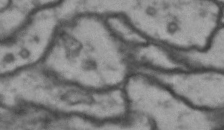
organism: Drosophila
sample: Brain